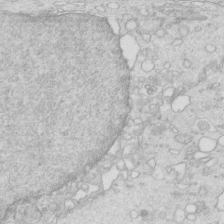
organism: Mouse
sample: Multiciliated cells